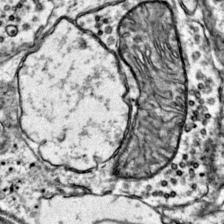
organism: Mouse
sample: Primary visual cortex